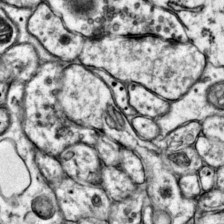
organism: Mouse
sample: Primary visual cortex